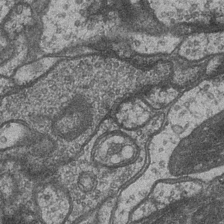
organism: Drosophila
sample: Optic medulla